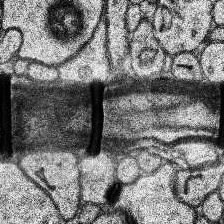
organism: Human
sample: Temporal Lobe